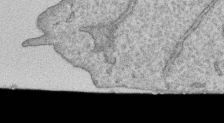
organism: Human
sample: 1205lu cells